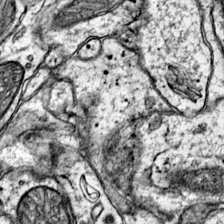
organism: Mouse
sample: Primary visual cortex